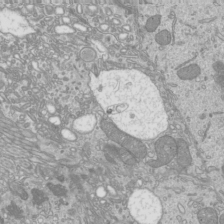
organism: Mouse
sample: Cilia; mouse epididymis